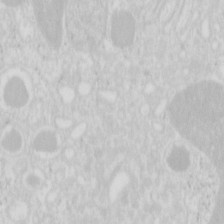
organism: Mouse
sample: Pancreas